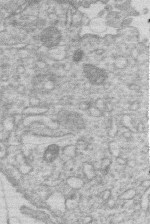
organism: Human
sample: Macrophage cells